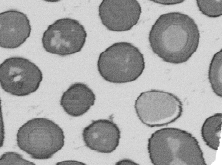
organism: B. subtilis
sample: Bacterial spore